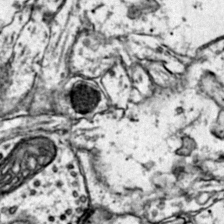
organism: Mouse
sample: Primary visual cortex